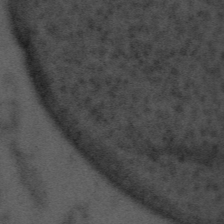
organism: Tuwongella immobilis